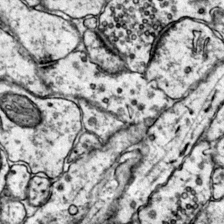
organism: Mouse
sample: Primary visual cortex